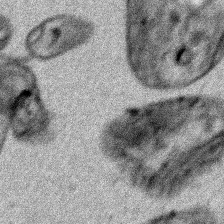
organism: Human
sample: Mitochondria in HCT116 cells